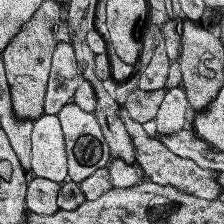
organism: Human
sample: Temporal Lobe